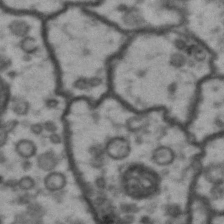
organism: Drosophila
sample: Brain